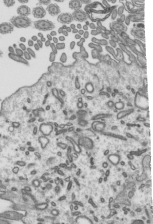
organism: Mouse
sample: Mouse epididymis efferent ductule cilia